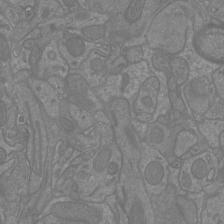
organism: Mouse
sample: Cortical neurons